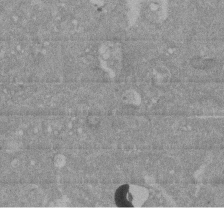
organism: Mouse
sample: ED-1 cell nuclei; centrioles